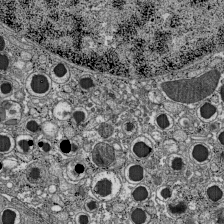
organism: C57BL Mouse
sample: Pancreatic islet